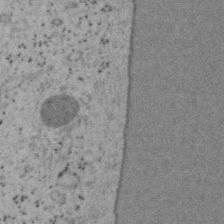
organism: Human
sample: HeLa cells